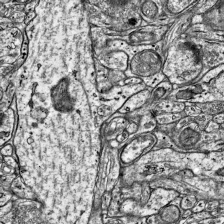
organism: Mouse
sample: Visual Cortex